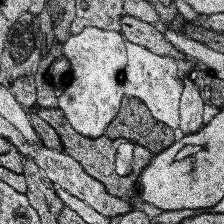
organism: Human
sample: Temporal Lobe